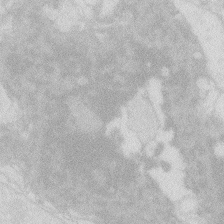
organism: Zebrafish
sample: Macrophage